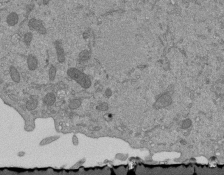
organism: Mouse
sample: ED-1 cell nuclei; centrioles